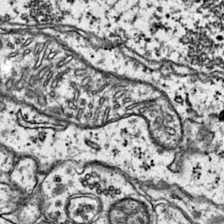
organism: Mouse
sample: Primary visual cortex